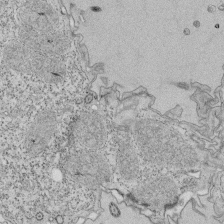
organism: Tetrahymena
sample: Cilia in tetrahymena